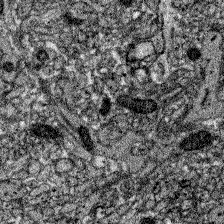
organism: Zebrafish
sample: Larval olfactory bulb